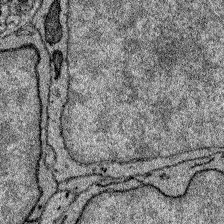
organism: Zebrafish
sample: Larval olfactory bulb